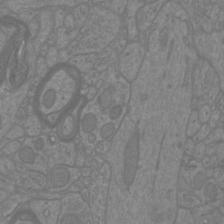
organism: Mouse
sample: Cortical neurons